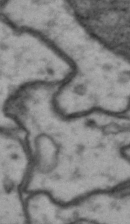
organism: Drosophila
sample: Brain